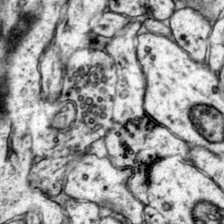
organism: Mouse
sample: Primary visual cortex